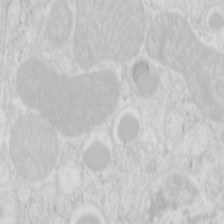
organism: Mouse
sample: Pancreas